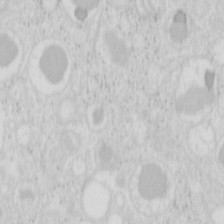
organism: Mouse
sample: Pancreas